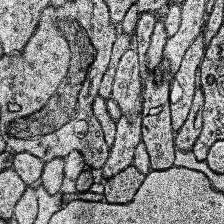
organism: Human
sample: Temporal Lobe